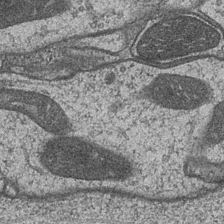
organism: Drosophila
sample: Optic medulla